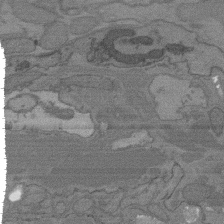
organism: C. elegans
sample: AFD neurons C. elegans